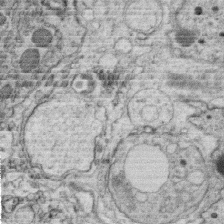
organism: C. elegans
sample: C. elegans oocyte; sperm cells